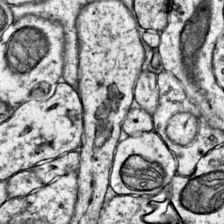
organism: Mouse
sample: Primary visual cortex